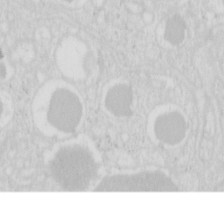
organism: Mouse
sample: Pancreas